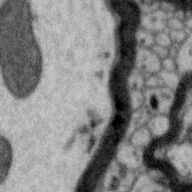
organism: Zebra finch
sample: Brain